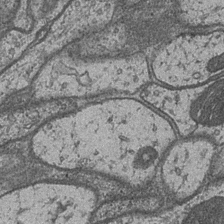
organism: Drosophila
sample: Optic medulla